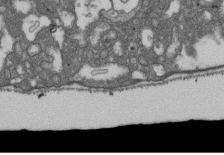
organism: Drosophila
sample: Nephrocyte